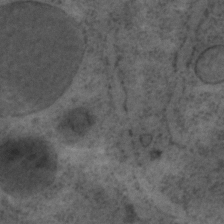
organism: C. elegans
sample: C. elegans embryo